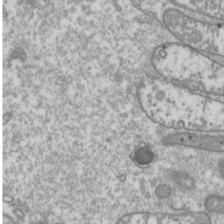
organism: Drosophila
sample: Cell division; meiosis; drosophila spermatocytes